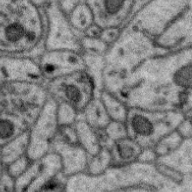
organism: Zebra finch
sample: Brain